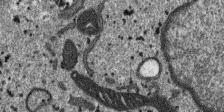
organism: Human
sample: Lung epithelial cells infected with SARS-CoV-2